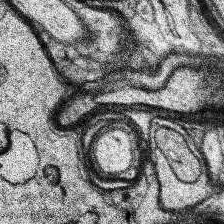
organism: Human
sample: Temporal Lobe